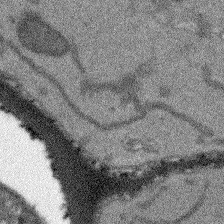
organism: Arabidopsis thaliana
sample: Root tip